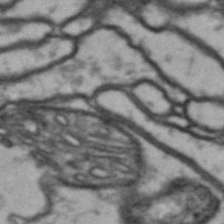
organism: Drosophila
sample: Brain